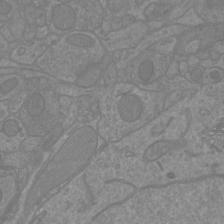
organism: Mouse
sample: Cortical neurons